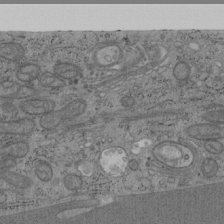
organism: Human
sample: HeLa cells